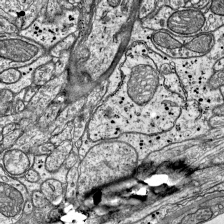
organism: Mouse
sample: Visual Cortex